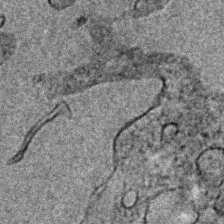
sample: Trachea